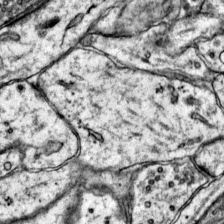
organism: Mouse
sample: Primary visual cortex